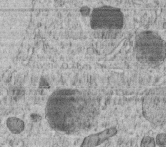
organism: C. elegans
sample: C. elegans embryo early stage